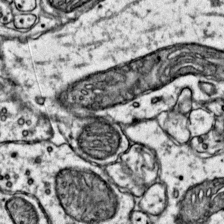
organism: Mouse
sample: Primary visual cortex